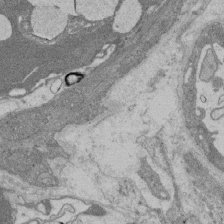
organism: Rat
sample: Salivary granule